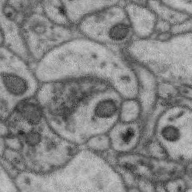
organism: Zebra finch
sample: Brain